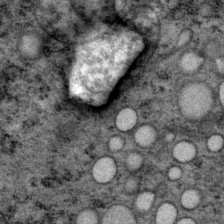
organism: P. pacificus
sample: Pharynx